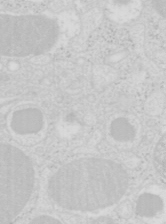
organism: Mouse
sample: Pancreas